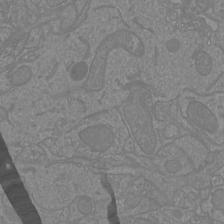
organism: Mouse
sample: Cortical neurons